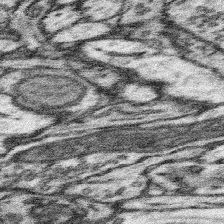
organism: Mouse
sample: Somatosensory cortex neuropil